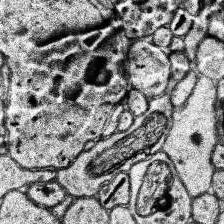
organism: Human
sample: Temporal Lobe